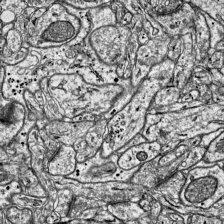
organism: Mouse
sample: Visual Cortex